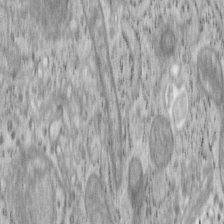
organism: Human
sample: HeLa cells